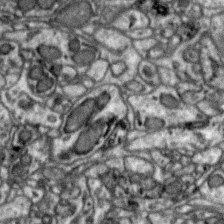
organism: Zebra finch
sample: Brain